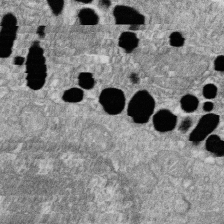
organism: Zebrafish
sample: Cilia; retinal pigment epithelium